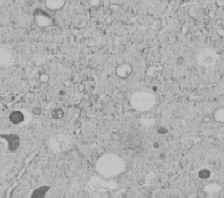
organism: C. elegans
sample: C. elegans embryo early stage